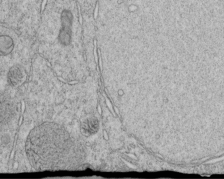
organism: C. elegans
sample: C. elegans embryo early stage